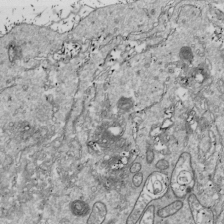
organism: Drosophila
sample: Cell division; meiosis; drosophila spermatocytes